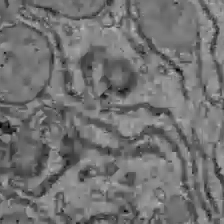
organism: C57BL Mouse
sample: Liver